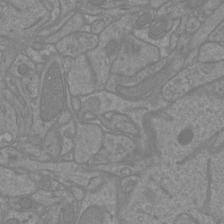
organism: Mouse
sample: Cortical neurons